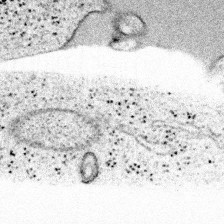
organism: Human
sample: HeLa cells